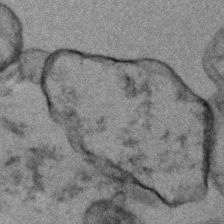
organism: Human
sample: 1205lu cells